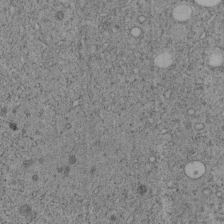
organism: C. elegans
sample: C. elegans embryo early stage